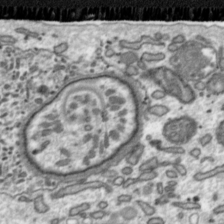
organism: Toxoplasma gondii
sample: Parasites in a vacuole inside a host cell